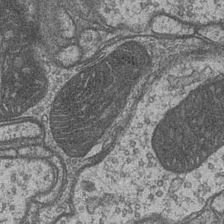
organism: Drosophila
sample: Optic medulla